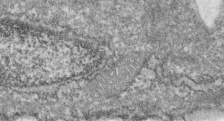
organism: Zebrafish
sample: Cilia; retinal pigment epithelium